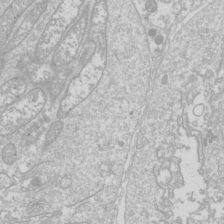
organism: Drosophila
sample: Cell division; meiosis; drosophila spermatocytes